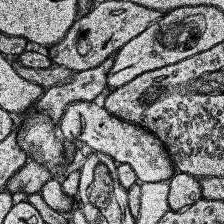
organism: Human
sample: Temporal Lobe